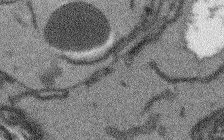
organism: Arabidopsis thaliana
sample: Root tip